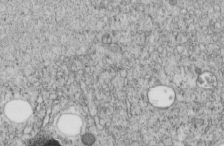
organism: C. elegans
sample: C. elegans embryo early stage